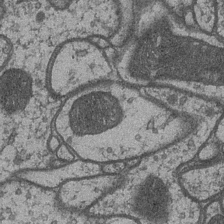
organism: Drosophila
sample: Optic medulla